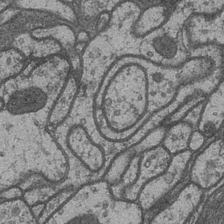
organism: Drosophila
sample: Optic medulla